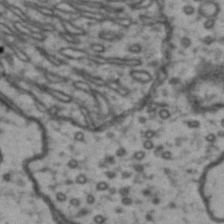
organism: Drosophila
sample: Brain